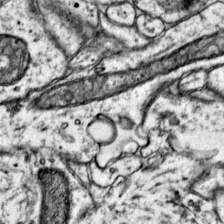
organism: Mouse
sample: Primary visual cortex